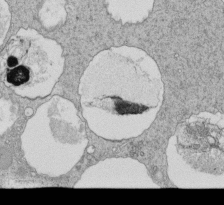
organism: Tetrahymena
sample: Cilia in tetrahymena